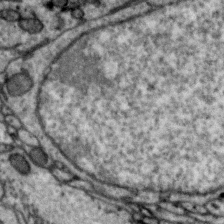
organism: Zebra finch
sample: Brain